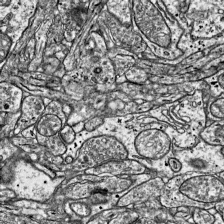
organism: Mouse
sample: Visual Cortex